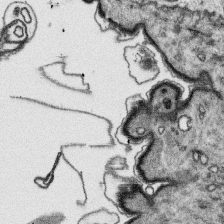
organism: Platynereis dumerilii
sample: Parapodia